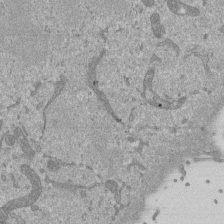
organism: Mouse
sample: ED-1 cell nuclei; centrioles